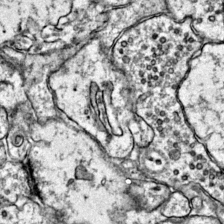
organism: Mouse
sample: Primary visual cortex